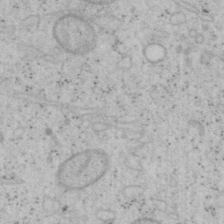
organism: Human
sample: HeLa cells